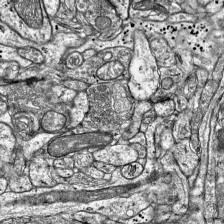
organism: Mouse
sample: Visual Cortex